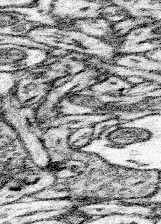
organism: Mouse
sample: Somatosensory cortex neuropil